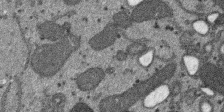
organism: Human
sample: Lung epithelial cells infected with SARS-CoV-2